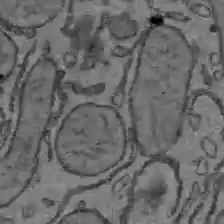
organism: C57BL Mouse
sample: Liver